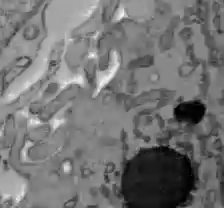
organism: C57BL Mouse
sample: Liver